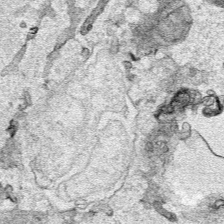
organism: Human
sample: Mitochondria in HCT116 cells